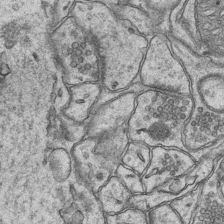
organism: Mouse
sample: CA1 Hippocampus